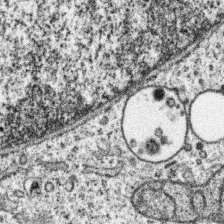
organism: Human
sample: HeLa cells